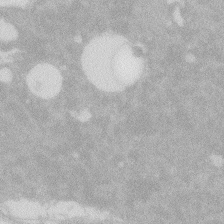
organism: Zebrafish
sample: Macrophage